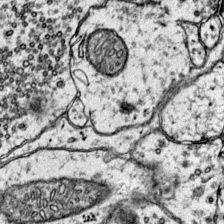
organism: Mouse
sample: Primary visual cortex